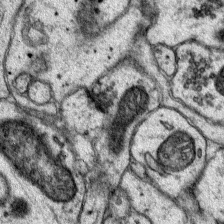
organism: Mouse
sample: Primary visual cortex